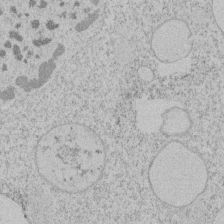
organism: Tetrahymena